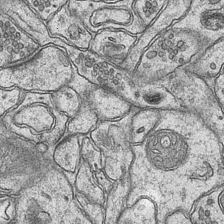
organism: Mouse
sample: CA1 Hippocampus